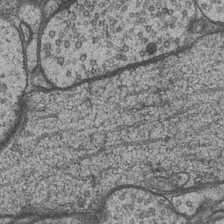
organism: Drosophila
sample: Optic medulla